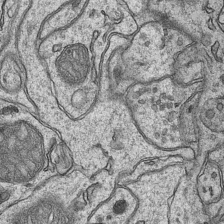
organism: Mouse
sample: CA1 Hippocampus